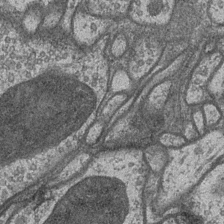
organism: Drosophila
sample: Optic medulla